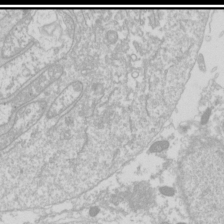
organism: Drosophila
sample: Cell division; meiosis; drosophila spermatocytes